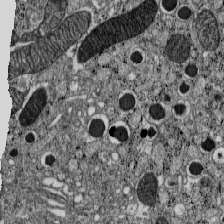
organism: C57BL Mouse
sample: Pancreatic islet